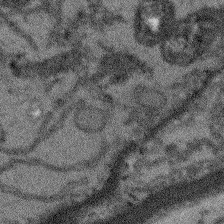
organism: Arabidopsis thaliana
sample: Root tip